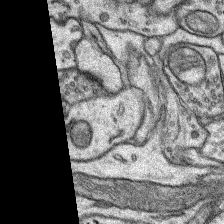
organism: Rat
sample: Hippocampus